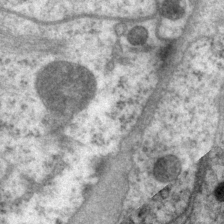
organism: P. pacificus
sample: Pharynx